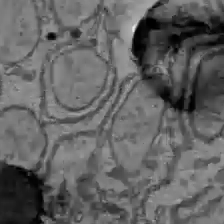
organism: C57BL Mouse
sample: Liver